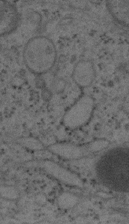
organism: Human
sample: HeLa cells